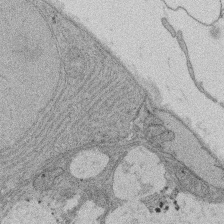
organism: Rat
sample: Salivary granule